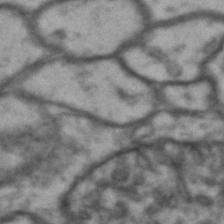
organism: Drosophila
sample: Brain